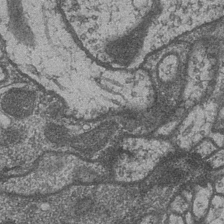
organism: Drosophila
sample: Optic medulla